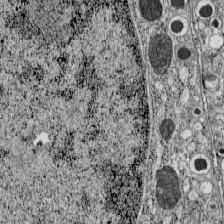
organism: C57BL Mouse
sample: Pancreatic islet